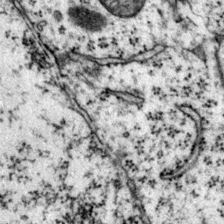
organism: Mouse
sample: Primary visual cortex